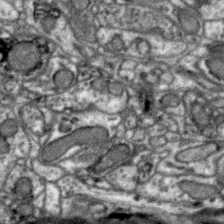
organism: Zebra finch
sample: Brain